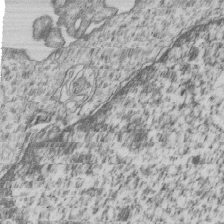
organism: Human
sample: MDA-MB-231 cells